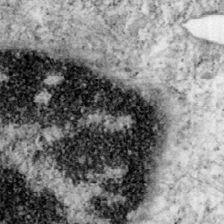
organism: Mouse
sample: OT-I killer T cells with ID8 ovarian cancer cells